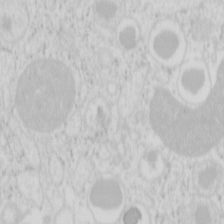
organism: Mouse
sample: Pancreas